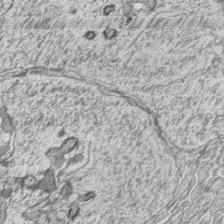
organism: Zebrafish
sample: synaptic ribbons in rod cells and cone cells